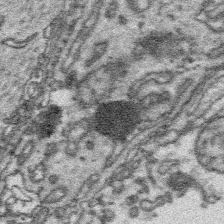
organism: Platynereis dumerilii